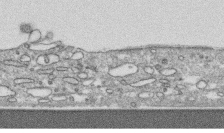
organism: Human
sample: CRL-1474